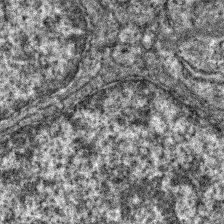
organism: Zebrafish